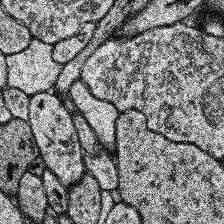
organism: Human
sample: Temporal Lobe